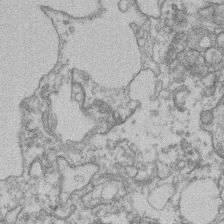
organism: Mouse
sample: T cell stromal cell synapse